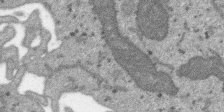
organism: Human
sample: Lung epithelial cells infected with SARS-CoV-2